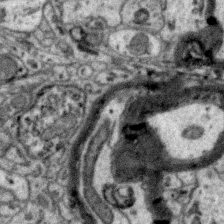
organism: Zebra finch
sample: Brain